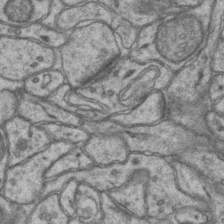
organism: Mouse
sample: CA1 Hippocampus